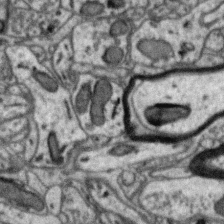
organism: Zebra finch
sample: Brain